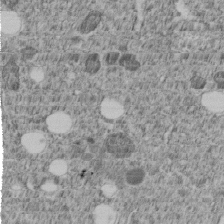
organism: C. elegans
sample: C. elegans embryo early stage